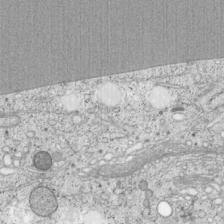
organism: African green monkey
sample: COS-7 cells